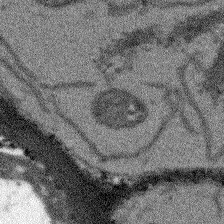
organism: Arabidopsis thaliana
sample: Root tip